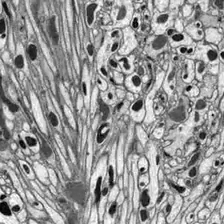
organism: Drosophila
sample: Optic lobe